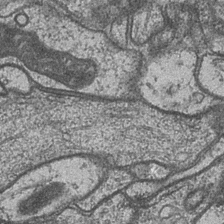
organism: Drosophila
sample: Optic medulla